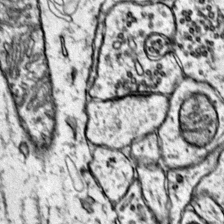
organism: Mouse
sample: Primary visual cortex